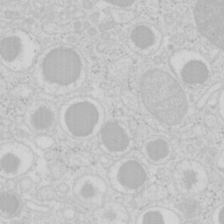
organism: Mouse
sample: Pancreas